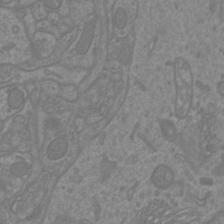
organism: Mouse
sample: Cortical neurons